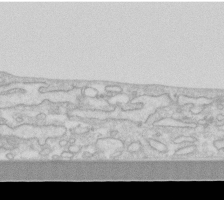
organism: Human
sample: Fibroblast cells